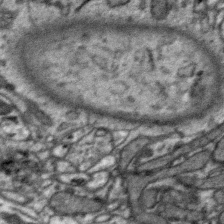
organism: Zebra finch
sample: Brain